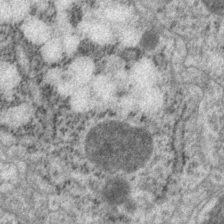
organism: P. pacificus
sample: Pharynx